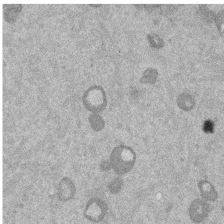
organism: Mouse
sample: Dividing mouse embryo 1 cell stage